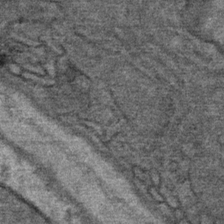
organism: Mouse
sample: Mouse Salivary gland